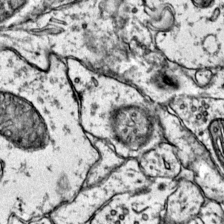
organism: Mouse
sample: Primary visual cortex